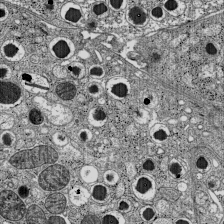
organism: C57BL Mouse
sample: Pancreatic islet